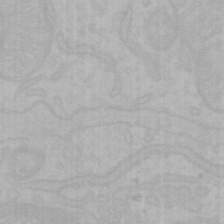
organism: Mouse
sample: Choroid plexus